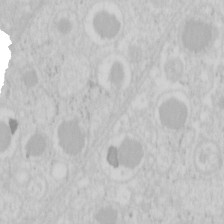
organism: Mouse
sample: Pancreas